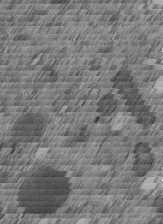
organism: C. elegans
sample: C. elegans embryo early stage